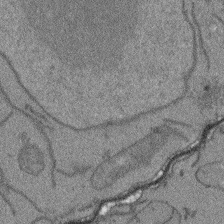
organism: Arabidopsis thaliana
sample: Root tip